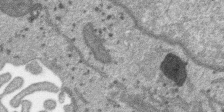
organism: Human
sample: Lung epithelial cells infected with SARS-CoV-2